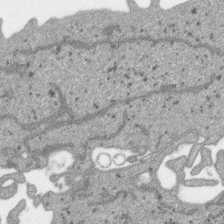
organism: Human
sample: Lung epithelial cells infected with SARS-CoV-2